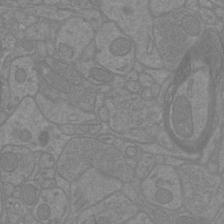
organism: Mouse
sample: Cortical neurons